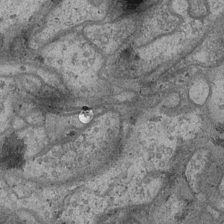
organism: Drosophila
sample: Optic medulla